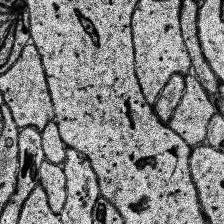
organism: Human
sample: Temporal Lobe